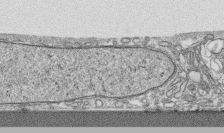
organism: Human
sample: CRL-1474